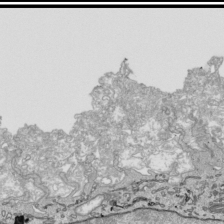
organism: Human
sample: Mitochondria in HCT116 cells